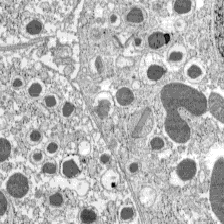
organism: C57BL Mouse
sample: Pancreatic islet